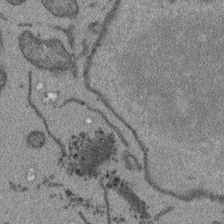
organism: Arabidopsis thaliana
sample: Root tip